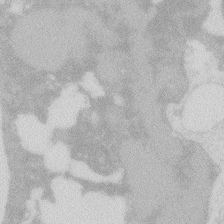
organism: Zebrafish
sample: Macrophage